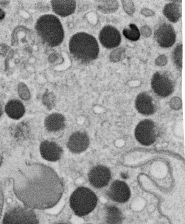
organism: C. elegans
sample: C. elegans oocyte; sperm cells